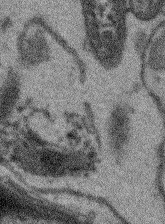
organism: Arabidopsis thaliana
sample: Root tip